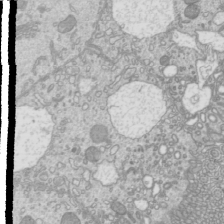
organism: Mouse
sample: Cilia; mouse epididymis